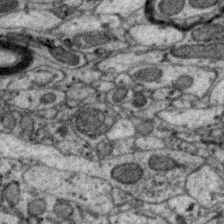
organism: Zebra finch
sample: Brain